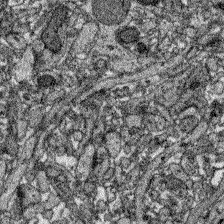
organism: Zebrafish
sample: Larval olfactory bulb